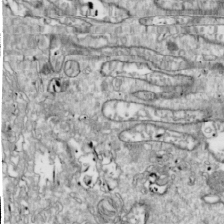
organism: Drosophila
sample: Cell division; meiosis; drosophila spermatocytes